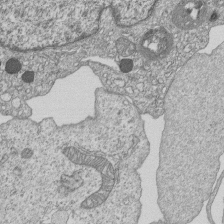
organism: Human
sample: MDA-MB-231 cells